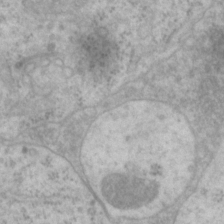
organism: P. pacificus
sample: Pharynx